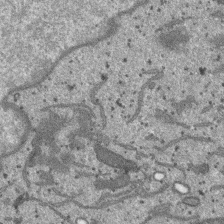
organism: Human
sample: Lung epithelial cells infected with SARS-CoV-2